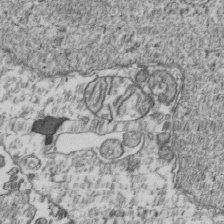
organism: Human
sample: Activated Jurkat CD4+ T cells